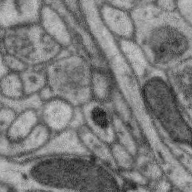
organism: Zebra finch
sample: Brain